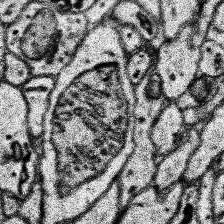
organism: Human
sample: Temporal Lobe